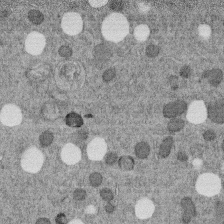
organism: C. elegans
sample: C. elegans embryo early stage